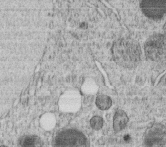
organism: C. elegans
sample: C. elegans embryo early stage